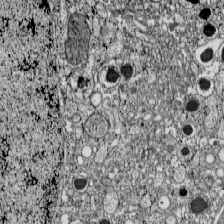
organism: C57BL Mouse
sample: Pancreatic islet